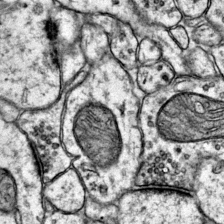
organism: Mouse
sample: Primary visual cortex